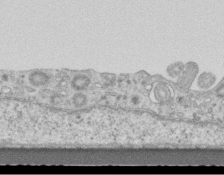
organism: Mouse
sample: Centriole in ependymal cells